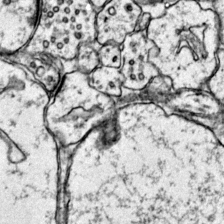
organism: Mouse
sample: Primary visual cortex